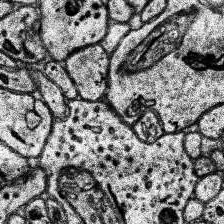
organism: Human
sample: Temporal Lobe